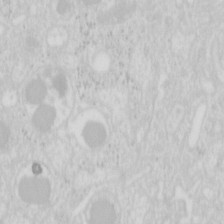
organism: Mouse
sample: Pancreas